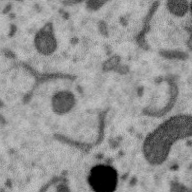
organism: Zebra finch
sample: Brain